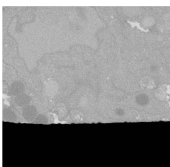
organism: C. elegans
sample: C. elegans oocyte; sperm cells